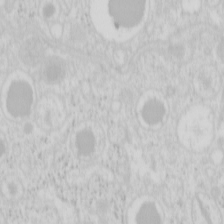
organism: Mouse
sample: Pancreas